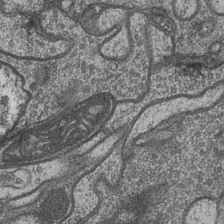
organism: Drosophila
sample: Optic medulla